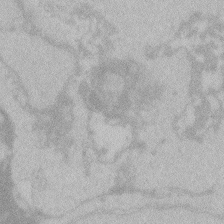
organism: Zebrafish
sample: Macrophage infected with Toxoplasma gondii